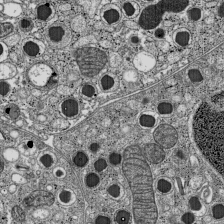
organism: C57BL Mouse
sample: Pancreatic islet